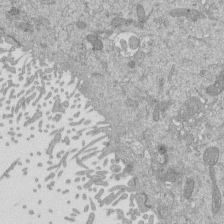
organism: Mouse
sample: ED-1 cell nuclei; centrioles